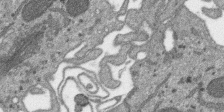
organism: Human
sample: Lung epithelial cells infected with SARS-CoV-2